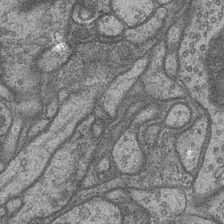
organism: Drosophila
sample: Optic medulla